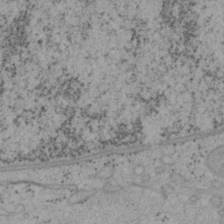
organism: Human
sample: HeLa cells